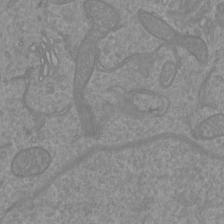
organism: Mouse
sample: Cortical neurons